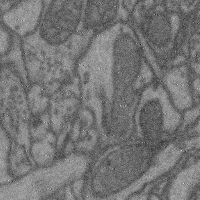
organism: Mouse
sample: Cerebral cortex